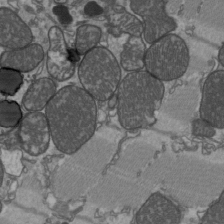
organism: C57BL Mouse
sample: Heart